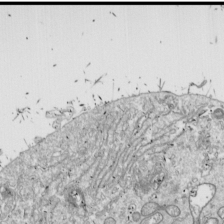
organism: Drosophila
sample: Cell division; meiosis; drosophila spermatocytes